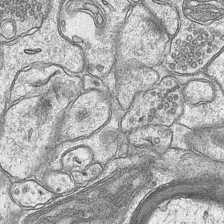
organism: Mouse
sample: CA1 Hippocampus